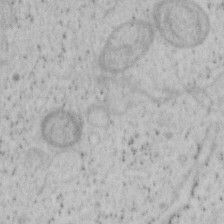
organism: Human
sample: HeLa cells